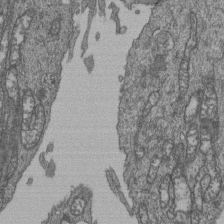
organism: Human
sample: Retinal organoid Rod and Cone cells